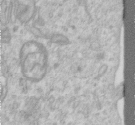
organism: Human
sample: Centriole in RPE cells